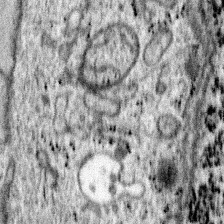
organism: Human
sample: HeLa cells